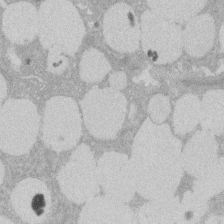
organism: Rat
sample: Salivary granule